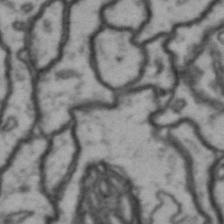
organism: Drosophila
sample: Brain